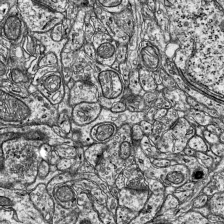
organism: Mouse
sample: Visual Cortex